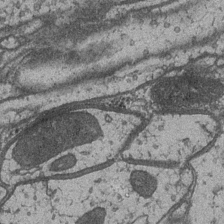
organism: Drosophila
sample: Optic medulla